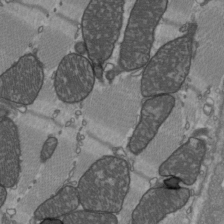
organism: C57BL Mouse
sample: Heart